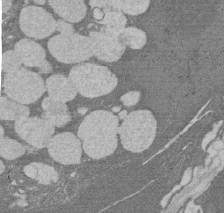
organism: Rat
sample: Salivary granule